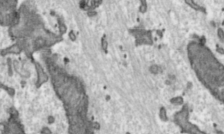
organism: Toxoplasma gondii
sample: Parasites in a vacuole inside a host cell